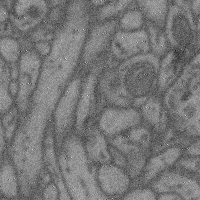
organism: Mouse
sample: Cerebral cortex